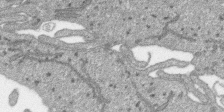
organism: Human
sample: Lung epithelial cells infected with SARS-CoV-2